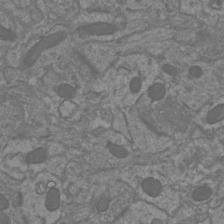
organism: Mouse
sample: Cortical neurons